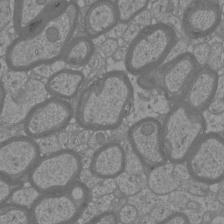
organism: Mouse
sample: Cortical neurons